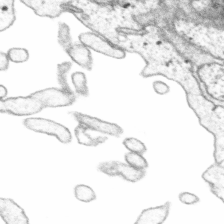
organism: Human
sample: HeLa cells